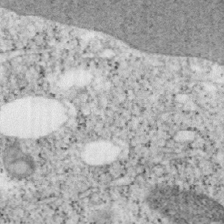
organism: Mouse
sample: OT-I killer T cells with ID8 ovarian cancer cells